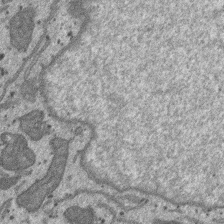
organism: Human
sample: Lung epithelial cells infected with SARS-CoV-2